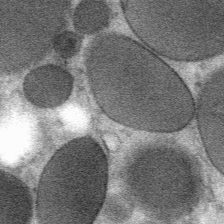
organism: Mouse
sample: Mouse Salivary gland